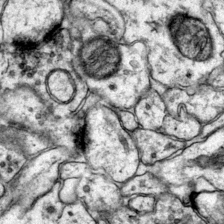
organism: Mouse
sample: Primary visual cortex